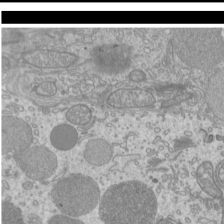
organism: Mouse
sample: Cilia; mouse epididymis